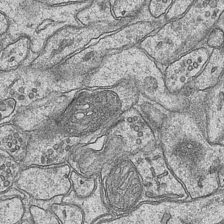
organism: Mouse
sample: CA1 Hippocampus